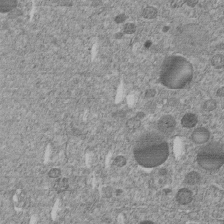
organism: C. elegans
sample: C. elegans embryo early stage